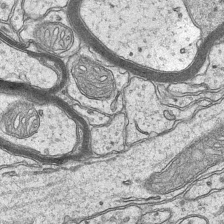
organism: Mouse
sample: CA1 Hippocampus